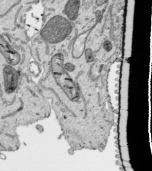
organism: Human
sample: Mitochondria in HCT116 cells